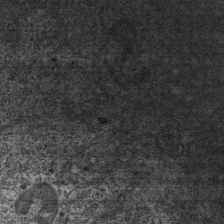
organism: Mouse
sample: Centriole in ependymal cells